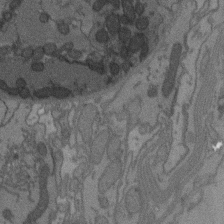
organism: C. elegans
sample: AFD neurons C. elegans